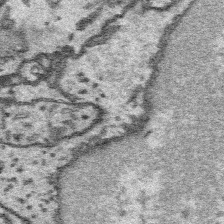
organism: Platynereis dumerilii